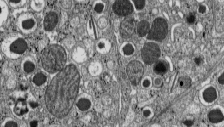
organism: C57BL Mouse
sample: Pancreatic islet